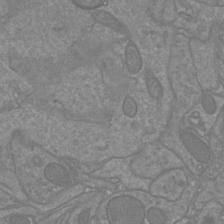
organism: Mouse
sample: Cortical neurons